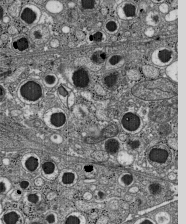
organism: C57BL Mouse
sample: Pancreatic islet